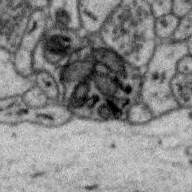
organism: Zebra finch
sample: Brain